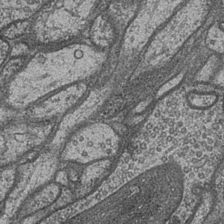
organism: Drosophila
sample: Optic medulla